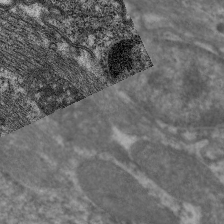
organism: C. elegans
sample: Pharynx